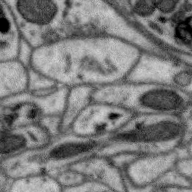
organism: Zebra finch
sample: Brain